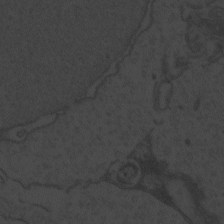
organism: Zebrafish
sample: Macrophage infected with Toxoplasma gondii